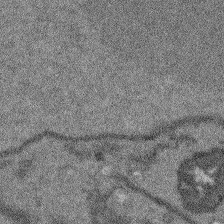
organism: Arabidopsis thaliana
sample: Root tip